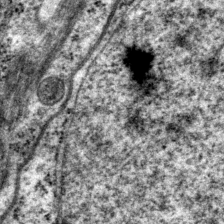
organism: P. pacificus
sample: Pharynx